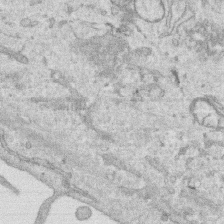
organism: Human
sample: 1205lu cells